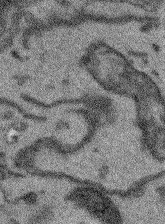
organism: Arabidopsis thaliana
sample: Root tip